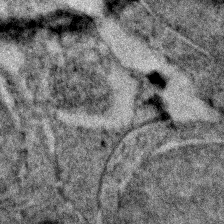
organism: Zebrafish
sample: Zebrafish embryo